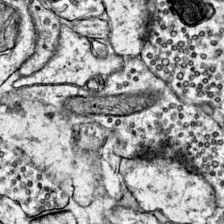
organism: Mouse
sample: Primary visual cortex